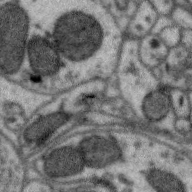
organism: Zebra finch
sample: Brain